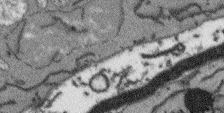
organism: Arabidopsis thaliana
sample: Root tip